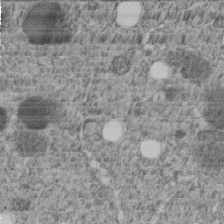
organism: C. elegans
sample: C. elegans embryo early stage